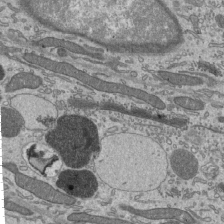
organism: Mouse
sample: Mouse epididymis efferent ductule cilia